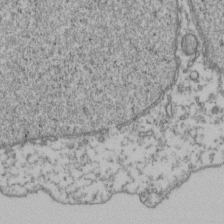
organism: Human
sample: Activated Jurkat CD4+ T cells